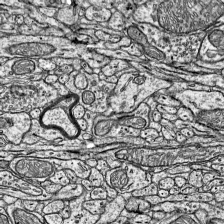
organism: Mouse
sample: Visual Cortex